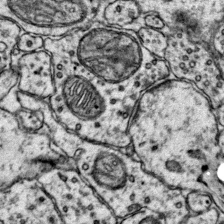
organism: Mouse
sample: Primary visual cortex